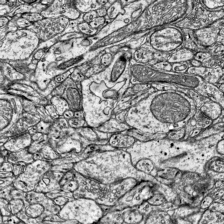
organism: Mouse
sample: Visual Cortex